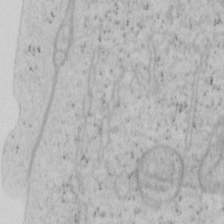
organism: Human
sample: HeLa cells